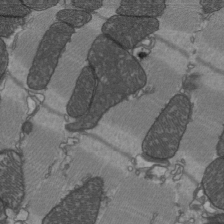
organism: C57BL Mouse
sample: Heart